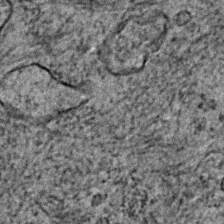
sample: Trachea